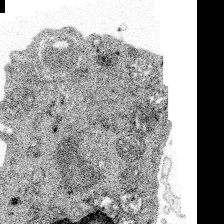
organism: Spongilla lacustris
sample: Multiple